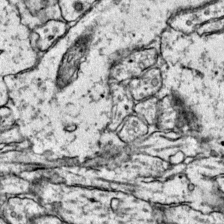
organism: Mouse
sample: Primary visual cortex